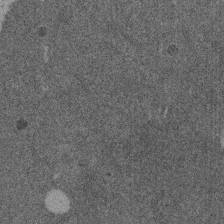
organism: Mouse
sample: Dividing mouse embryo 1 cell stage